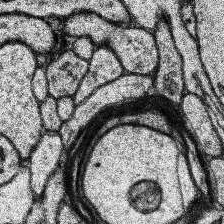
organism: Human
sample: Temporal Lobe